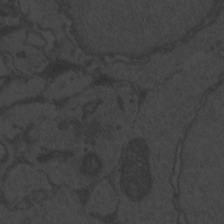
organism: Zebrafish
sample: Macrophage infected with Toxoplasma gondii